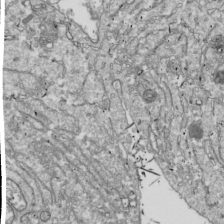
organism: Drosophila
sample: Cell division; meiosis; drosophila spermatocytes